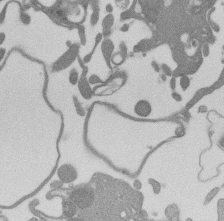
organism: Mouse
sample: Dividing mouse embryo 1 cell stage